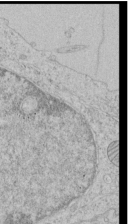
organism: Human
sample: Mitochondria in HCT116 cells